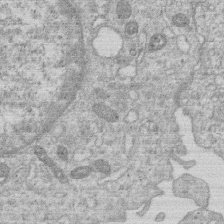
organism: Human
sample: Macrophage cells